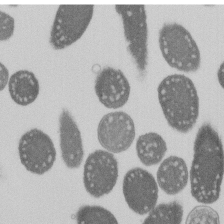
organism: E. coli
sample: Bacterial nucleoid